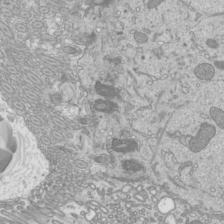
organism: Mouse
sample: Cilia; mouse epididymis